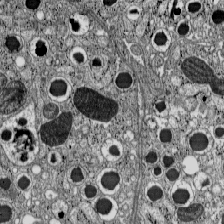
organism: C57BL Mouse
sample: Pancreatic islet